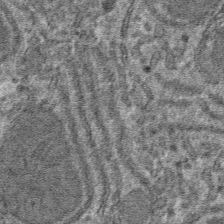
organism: Mouse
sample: Mouse hepatocytes